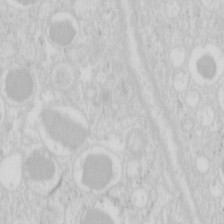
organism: Mouse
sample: Pancreas